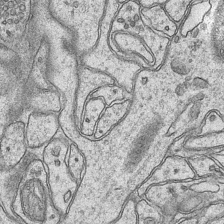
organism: Mouse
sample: CA1 Hippocampus